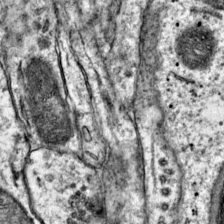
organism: Mouse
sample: Primary visual cortex